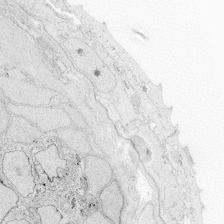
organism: Zebrafish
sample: Whole-Brain